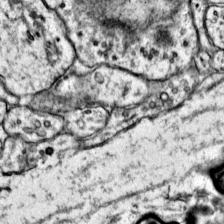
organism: Mouse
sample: Primary visual cortex